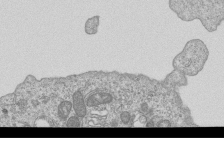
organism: Human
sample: MDA-MB-231 cells